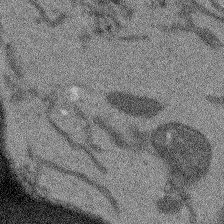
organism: Arabidopsis thaliana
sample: Root tip